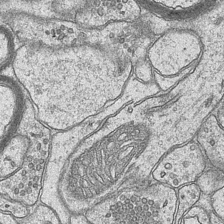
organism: Mouse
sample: CA1 Hippocampus